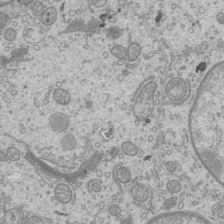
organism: Mouse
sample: Cilia; mouse epididymis